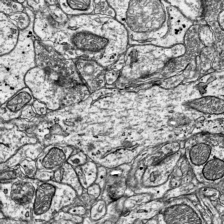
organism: Mouse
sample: Visual Cortex